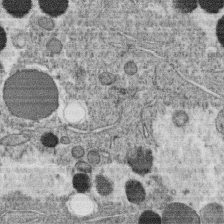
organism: C. elegans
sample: C. elegans oocyte; sperm cells